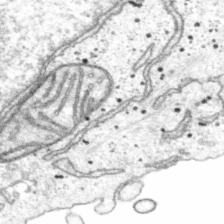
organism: Human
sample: HeLa cells